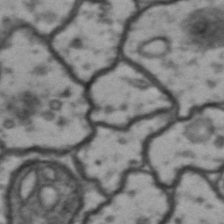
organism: Drosophila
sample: Brain